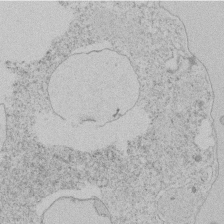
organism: Tetrahymena